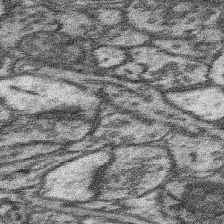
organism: Mouse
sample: Somatosensory cortex neuropil